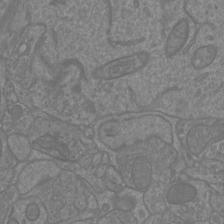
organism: Mouse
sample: Cortical neurons